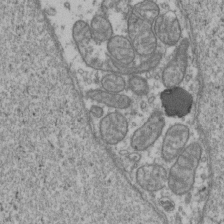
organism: Human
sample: Activated Jurkat CD4+ T cells